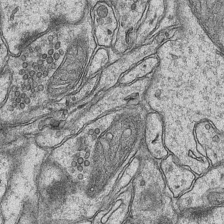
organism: Mouse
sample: CA1 Hippocampus